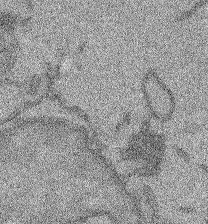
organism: Human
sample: HeLa cells